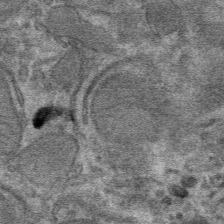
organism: Mouse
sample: Mouse hepatocytes